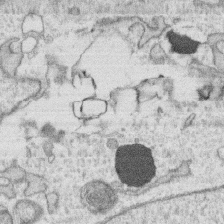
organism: Human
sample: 1205lu cells